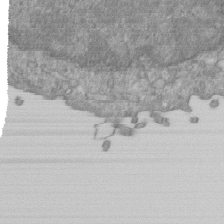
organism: Mouse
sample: ED-1 cell nuclei; centrioles